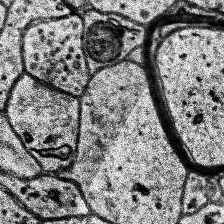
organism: Human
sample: Temporal Lobe